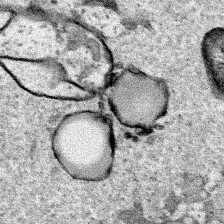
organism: Human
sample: Mitochondria in HCT116 cells